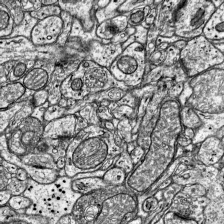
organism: Mouse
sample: Visual Cortex